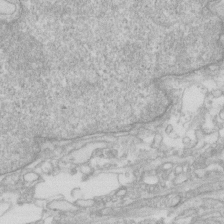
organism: Human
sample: Fibroblast cells